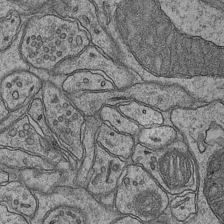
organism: Mouse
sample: CA1 Hippocampus